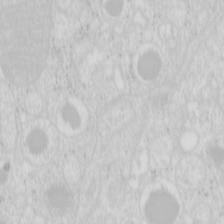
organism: Mouse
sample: Pancreas